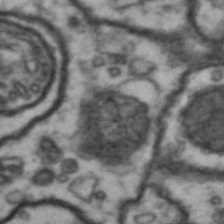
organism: Drosophila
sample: Brain